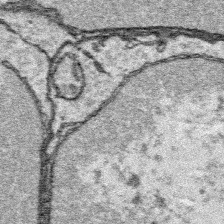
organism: Platynereis dumerilii